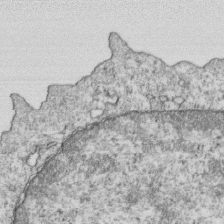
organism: Mouse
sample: Activated OT-1 CD8+ T cells